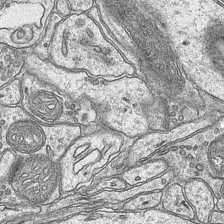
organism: Mouse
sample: CA1 Hippocampus